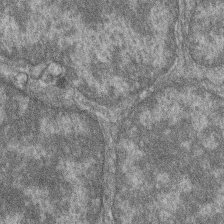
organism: Zebrafish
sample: Cilia; retinal pigment epithelium